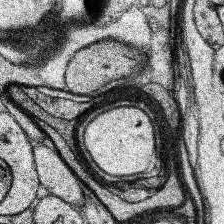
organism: Human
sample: Temporal Lobe